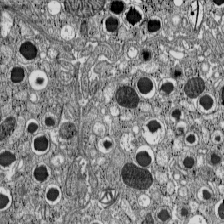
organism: C57BL Mouse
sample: Pancreatic islet